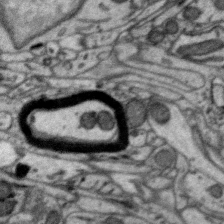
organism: Zebra finch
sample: Brain